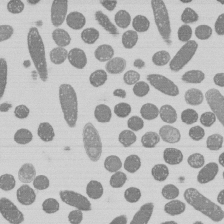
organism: E. coli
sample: Bacterial nucleoid